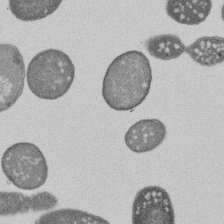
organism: E. coli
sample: Bacterial nucleoid